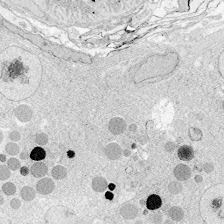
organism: Zebrafish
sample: Whole-Brain